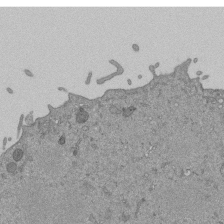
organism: Mouse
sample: ED-1 cell nuclei; centrioles